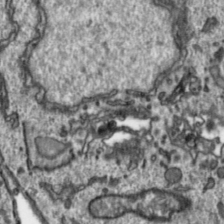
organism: Toxoplasma gondii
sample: Parasites in a vacuole inside a host cell